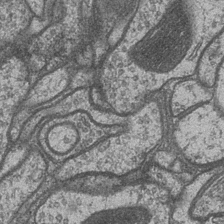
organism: Drosophila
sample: Optic medulla